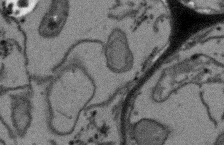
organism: Arabidopsis thaliana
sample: Root tip